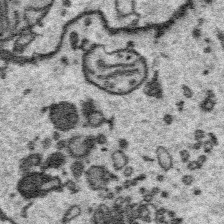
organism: Platynereis dumerilii